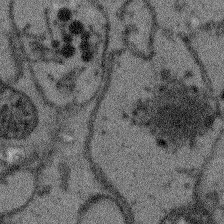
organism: Arabidopsis thaliana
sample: Root tip